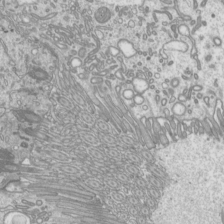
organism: Mouse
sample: Cilia; mouse epididymis